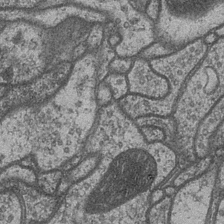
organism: Drosophila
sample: Optic medulla